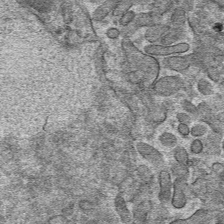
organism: Mouse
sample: Mouse hepatocytes